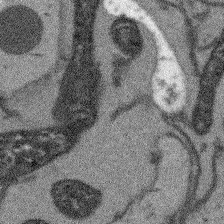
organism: Arabidopsis thaliana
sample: Root tip